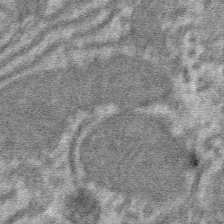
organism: Mouse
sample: Mouse hepatocytes